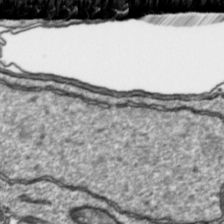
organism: Toxoplasma gondii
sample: Parasites in a vacuole inside a host cell